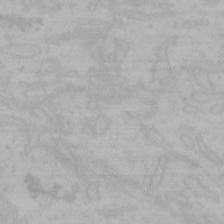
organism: Mouse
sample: Choroid plexus